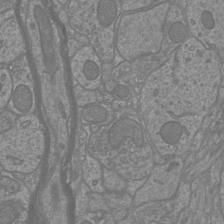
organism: Mouse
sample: Cortical neurons